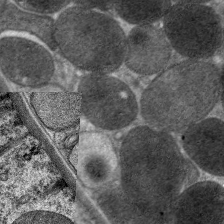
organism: C. elegans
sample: Pharynx